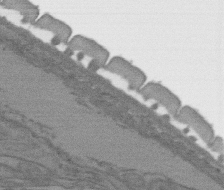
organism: C. elegans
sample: AFD neurons C. elegans